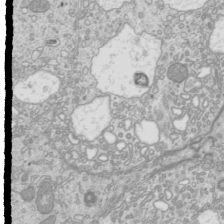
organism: Mouse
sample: Cilia; mouse epididymis